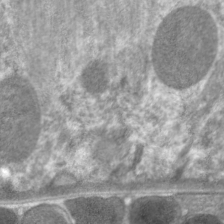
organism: C. elegans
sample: Pharynx